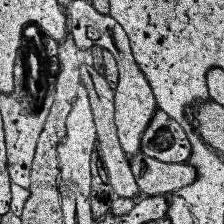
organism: Human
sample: Temporal Lobe